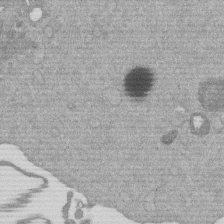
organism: Mouse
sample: Dividing mouse embryo 1 cell stage